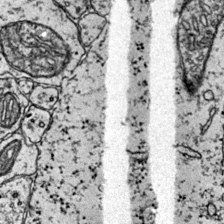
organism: Mouse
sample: Primary visual cortex